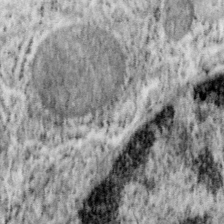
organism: Mouse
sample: OT-I killer T cells with ID8 ovarian cancer cells